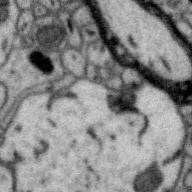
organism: Zebra finch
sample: Brain